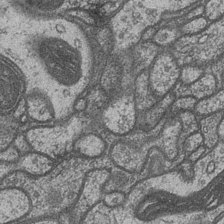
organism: Drosophila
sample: Optic medulla